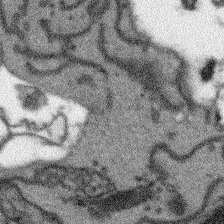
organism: Arabidopsis thaliana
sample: Root tip